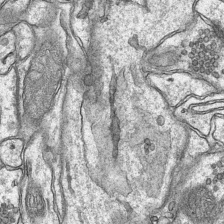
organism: Mouse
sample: CA1 Hippocampus